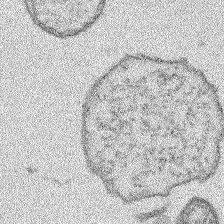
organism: Human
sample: HeLa cells